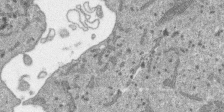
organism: Human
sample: Lung epithelial cells infected with SARS-CoV-2